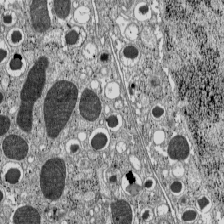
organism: C57BL Mouse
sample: Pancreatic islet